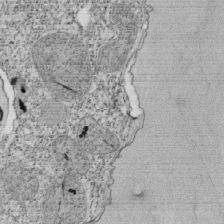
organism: Tetrahymena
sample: Cilia in tetrahymena